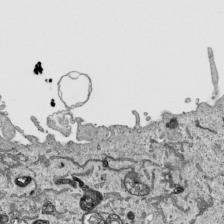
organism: Human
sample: Mitochondria in HCT116 cells